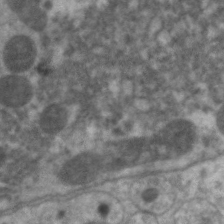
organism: C. elegans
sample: Pharynx